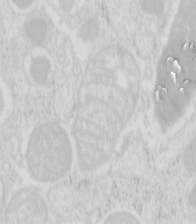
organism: Mouse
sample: Pancreas